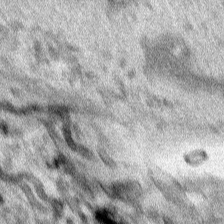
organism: Human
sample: Mitochondria in HCT116 cells